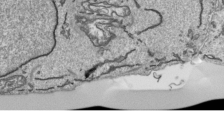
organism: Human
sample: Mitochondria in HCT116 cells